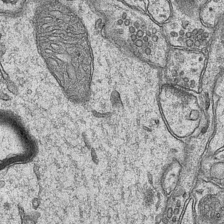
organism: Mouse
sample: CA1 Hippocampus